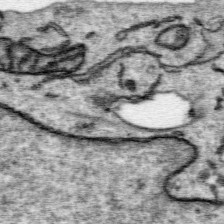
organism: Human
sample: HeLa cells